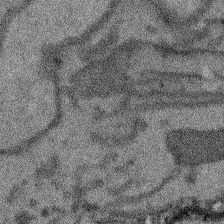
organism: Arabidopsis thaliana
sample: Root tip